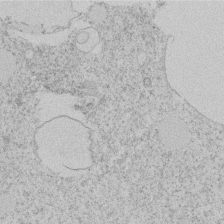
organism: Tetrahymena